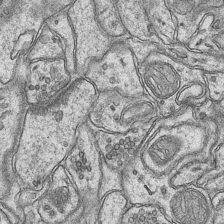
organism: Mouse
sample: CA1 Hippocampus